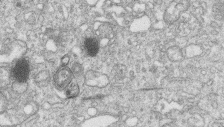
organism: Human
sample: HeLa cell HIV synapse